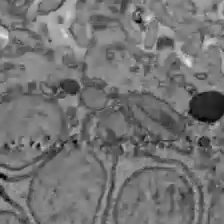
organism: C57BL Mouse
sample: Liver